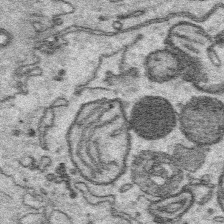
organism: Platynereis dumerilii